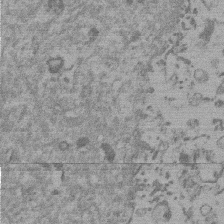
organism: Mouse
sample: Dividing mouse embryo 1 cell stage